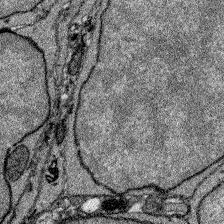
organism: Zebrafish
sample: Larval olfactory bulb